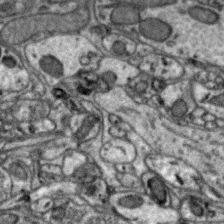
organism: Zebra finch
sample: Brain